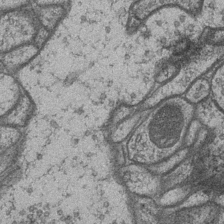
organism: Drosophila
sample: Optic medulla